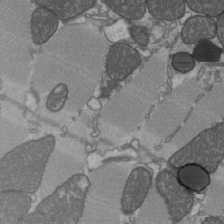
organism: C57BL Mouse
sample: Heart